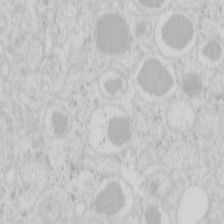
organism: Mouse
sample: Pancreas